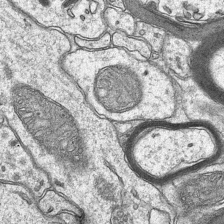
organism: Mouse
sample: CA1 Hippocampus